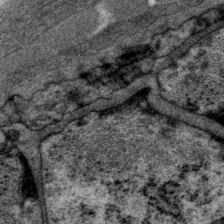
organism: P. pacificus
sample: Pharynx